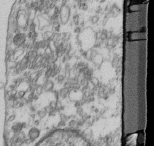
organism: Mouse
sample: Cilia; retinal pigment epithelium